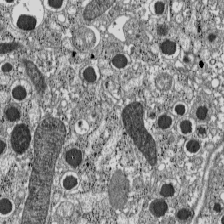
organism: C57BL Mouse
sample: Pancreatic islet